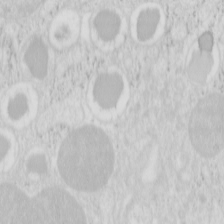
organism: Mouse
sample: Pancreas